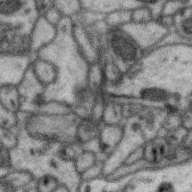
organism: Zebra finch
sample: Brain